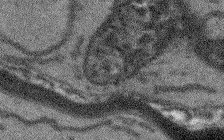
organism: Arabidopsis thaliana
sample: Root tip